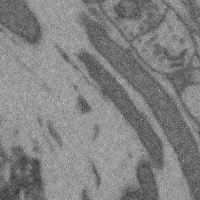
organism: Mouse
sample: Cerebral cortex